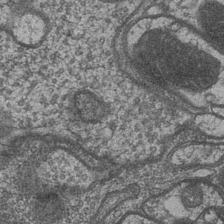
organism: Drosophila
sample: Optic medulla